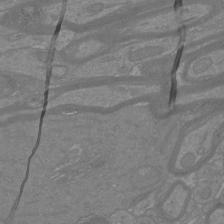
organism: Mouse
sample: Cortical neurons